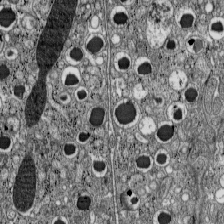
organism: C57BL Mouse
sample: Pancreatic islet